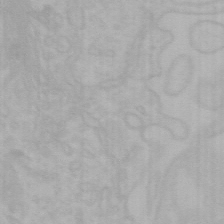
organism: Mouse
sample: Choroid plexus